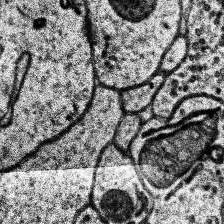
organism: Human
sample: Temporal Lobe